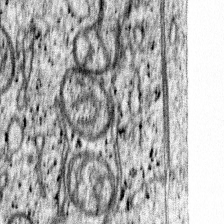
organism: Human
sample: HeLa cells